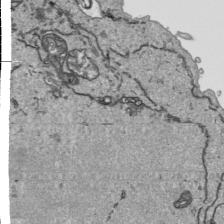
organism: Human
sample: Mitochondria in HCT116 cells